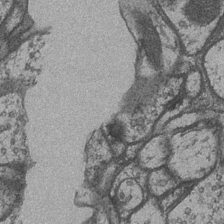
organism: Drosophila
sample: Optic medulla